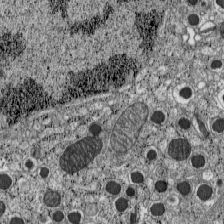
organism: C57BL Mouse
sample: Pancreatic islet